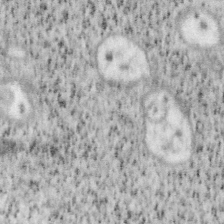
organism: Mouse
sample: OT-I killer T cells with ID8 ovarian cancer cells